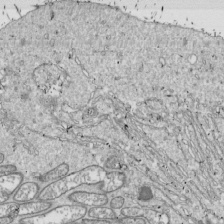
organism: Drosophila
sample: Cell division; meiosis; drosophila spermatocytes